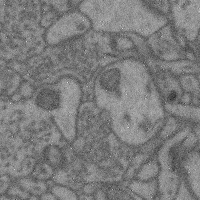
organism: Mouse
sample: Cerebral cortex